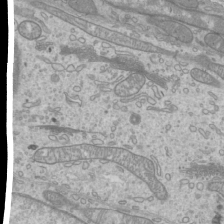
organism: Mouse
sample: Cilia; mouse epididymis